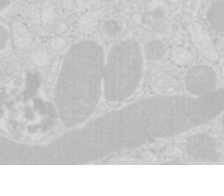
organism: Mouse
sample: Pancreas